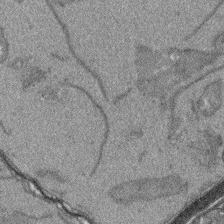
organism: Arabidopsis thaliana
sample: Root tip